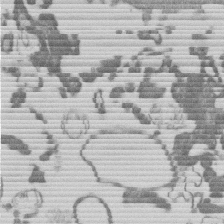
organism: Mouse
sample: Dividing mouse embryo 1 cell stage